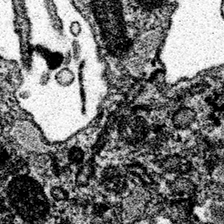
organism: Spongilla lacustris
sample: Neuroid cell